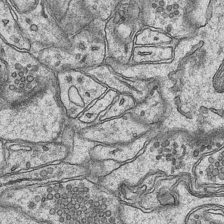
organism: Mouse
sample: CA1 Hippocampus